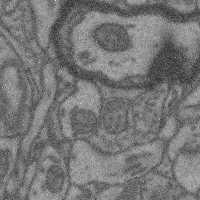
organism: Mouse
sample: Cerebral cortex